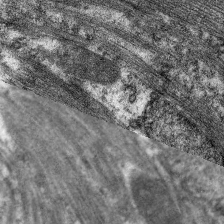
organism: C. elegans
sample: Pharynx